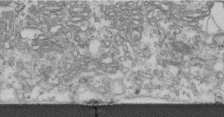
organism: Human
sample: Centriole in fibroblast cells